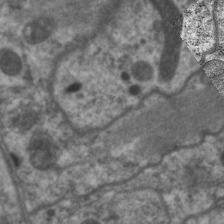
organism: C. elegans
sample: Pharynx